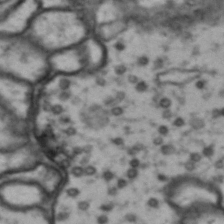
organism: Drosophila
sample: Brain